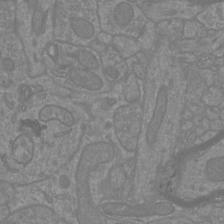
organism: Mouse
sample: Cortical neurons